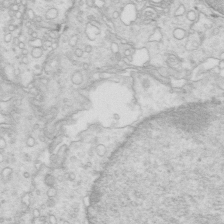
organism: Mouse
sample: Multiciliated cells